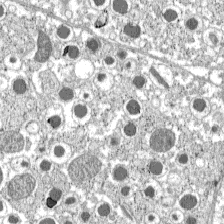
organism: C57BL Mouse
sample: Pancreatic islet